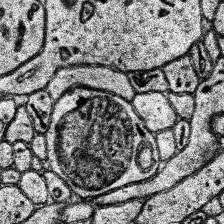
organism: Human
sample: Temporal Lobe